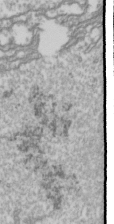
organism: Drosophila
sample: Cell division; meiosis; drosophila spermatocytes